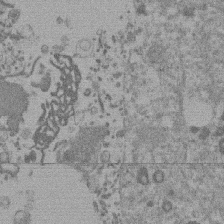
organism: Mouse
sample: Dividing mouse embryo 1 cell stage